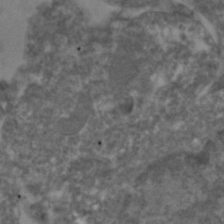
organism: Zebrafish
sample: Zebrafish embryo